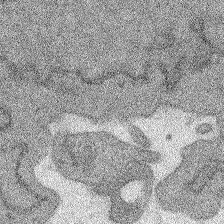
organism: Human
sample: HeLa cells